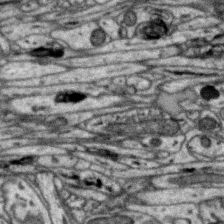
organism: Zebra finch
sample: Brain